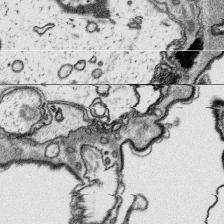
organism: Platynereis dumerilii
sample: Parapodia